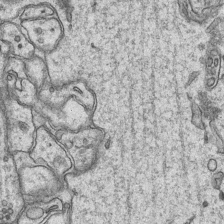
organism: Mouse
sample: CA1 Hippocampus